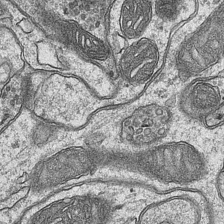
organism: Mouse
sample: CA1 Hippocampus